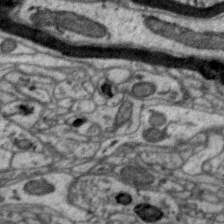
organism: Zebra finch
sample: Brain